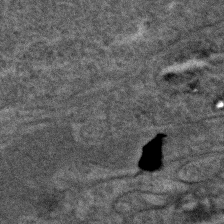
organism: C. elegans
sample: C. elegans embryo